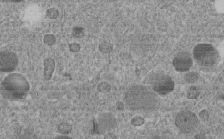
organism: C. elegans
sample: C. elegans embryo early stage